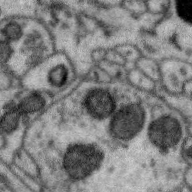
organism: Zebra finch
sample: Brain